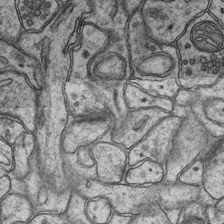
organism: Mouse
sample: CA1 Hippocampus